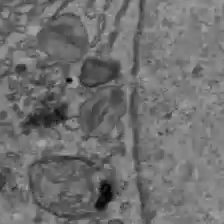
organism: C57BL Mouse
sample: Liver